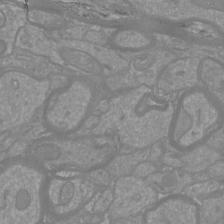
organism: Mouse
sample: Cortical neurons